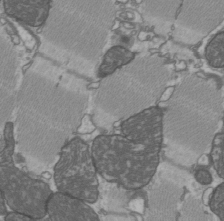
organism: C57BL Mouse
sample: Heart